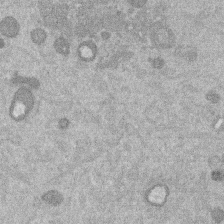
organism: Mouse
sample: Dividing mouse embryo 1 cell stage